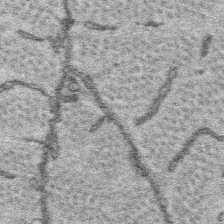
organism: Platynereis dumerilii